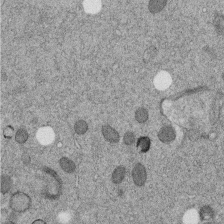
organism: C. elegans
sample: C. elegans embryo early stage